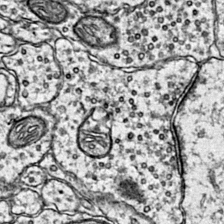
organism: Mouse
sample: Primary visual cortex